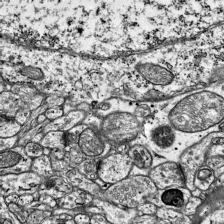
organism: Mouse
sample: Visual Cortex